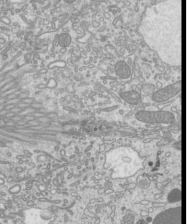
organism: Mouse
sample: Cilia; mouse epididymis